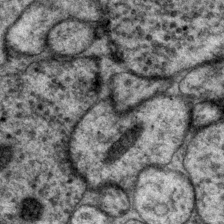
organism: P. pacificus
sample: Pharynx